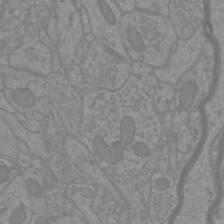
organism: Mouse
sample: Cortical neurons